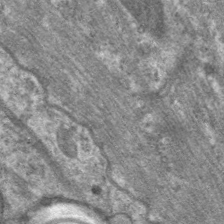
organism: C. elegans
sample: Pharynx